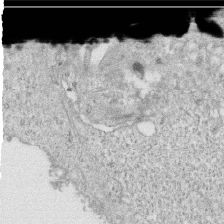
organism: Human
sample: HeLa cell HIV synapse